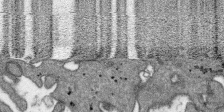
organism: Human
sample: Lung epithelial cells, uninfected (mock) control